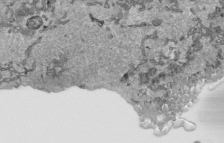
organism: Human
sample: Mitochondria in HCT116 cells